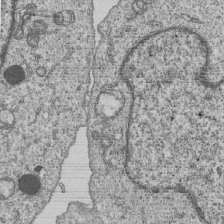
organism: Human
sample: MDA-MB-231 cells